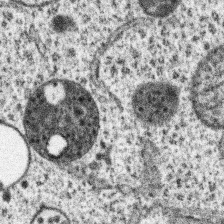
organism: Human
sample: HeLa cells